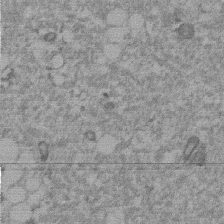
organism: Mouse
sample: Dividing mouse embryo 1 cell stage